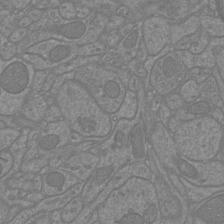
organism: Mouse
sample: Cortical neurons